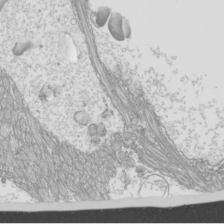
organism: Mouse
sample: Cilia; mouse epididymis